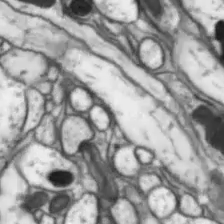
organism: Drosophila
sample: Optic lobe